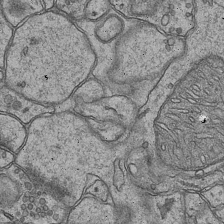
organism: Mouse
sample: CA1 Hippocampus